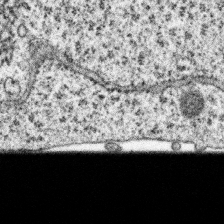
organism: Human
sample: HeLa cells